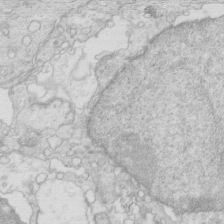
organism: Mouse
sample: Multiciliated cells